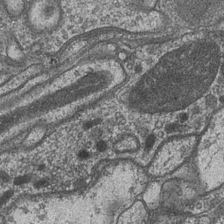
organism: Drosophila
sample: Optic medulla